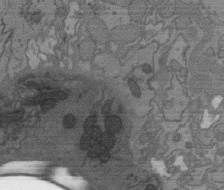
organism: C. elegans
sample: AFD neurons C. elegans